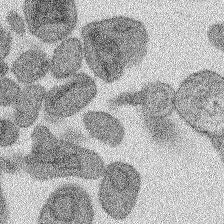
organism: Human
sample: HeLa cells